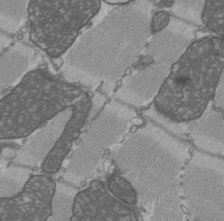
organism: C57BL Mouse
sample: Heart